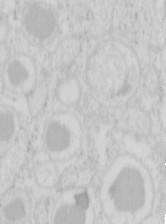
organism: Mouse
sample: Pancreas